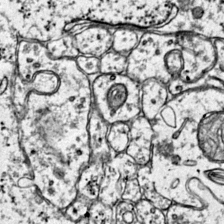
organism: Mouse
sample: Primary visual cortex